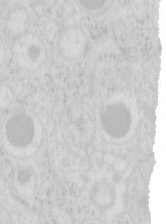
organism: Mouse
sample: Pancreas